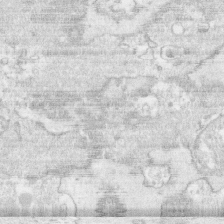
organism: Human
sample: CRL-1474